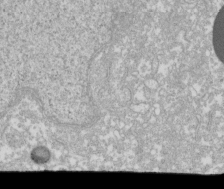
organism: Xenopus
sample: Cilia; centrioles in frog embryo cells